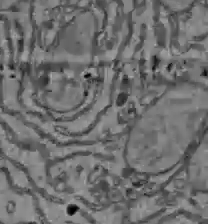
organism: C57BL Mouse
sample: Liver